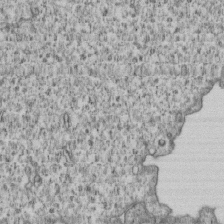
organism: Human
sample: MDA-MB-231 cells